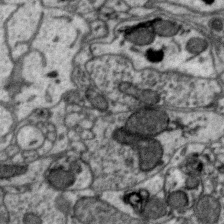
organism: Zebra finch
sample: Brain